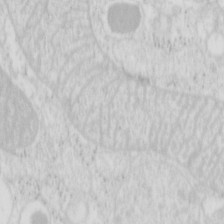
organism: Mouse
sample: Pancreas